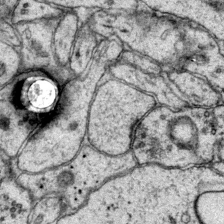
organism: Mouse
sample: Primary visual cortex